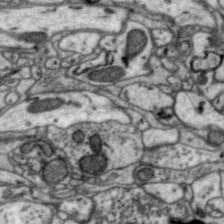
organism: Zebra finch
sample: Brain